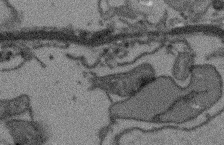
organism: Arabidopsis thaliana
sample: Root tip